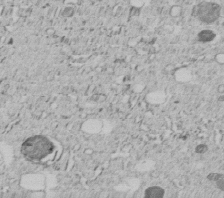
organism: C. elegans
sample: C. elegans embryo early stage